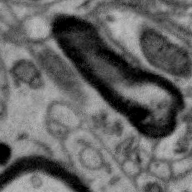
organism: Zebra finch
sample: Brain